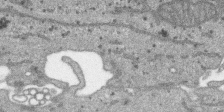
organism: Human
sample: Lung epithelial cells infected with SARS-CoV-2